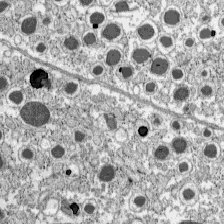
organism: C57BL Mouse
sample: Pancreatic islet